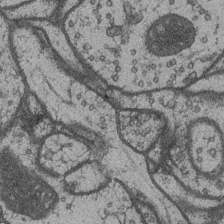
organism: Drosophila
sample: Optic medulla